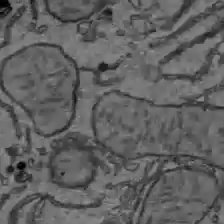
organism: C57BL Mouse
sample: Liver